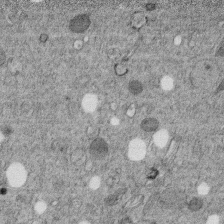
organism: C. elegans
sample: C. elegans embryo early stage